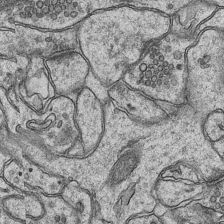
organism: Mouse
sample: CA1 Hippocampus